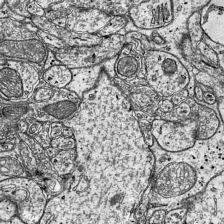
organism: Mouse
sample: Visual Cortex